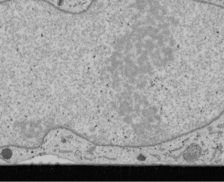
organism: Human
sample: Mitochondria in U2OS cells